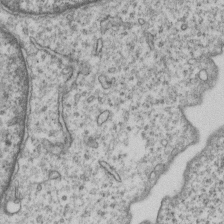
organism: Human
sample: MDA-MB-231 cells